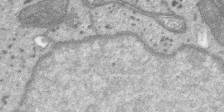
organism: Human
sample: Lung epithelial cells infected with SARS-CoV-2